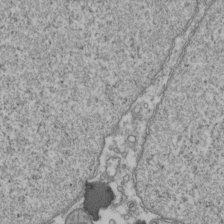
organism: Human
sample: Activated Jurkat CD4+ T cells